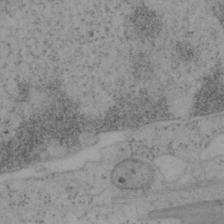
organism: Mouse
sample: OT-I killer T cells with ID8 ovarian cancer cells